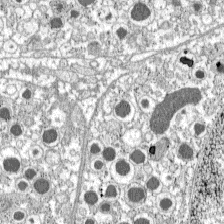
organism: C57BL Mouse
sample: Pancreatic islet